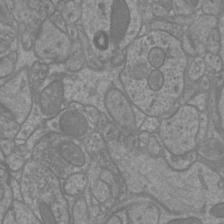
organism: Mouse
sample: Cortical neurons